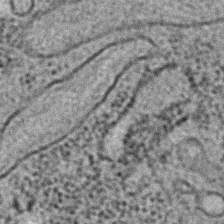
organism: C. elegans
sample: C. elegans embryo